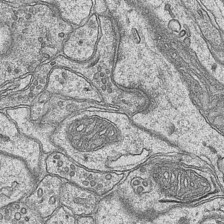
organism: Mouse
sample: CA1 Hippocampus